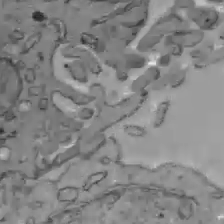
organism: C57BL Mouse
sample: Liver